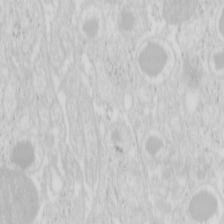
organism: Mouse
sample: Pancreas